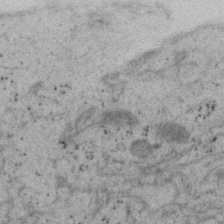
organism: Human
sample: HeLa cells